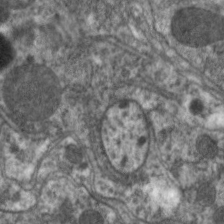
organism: C. elegans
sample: Pharynx